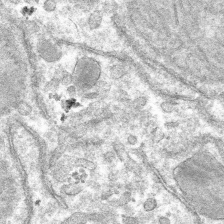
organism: Mouse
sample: Mouse hepatocytes